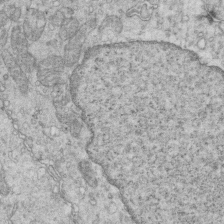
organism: Mouse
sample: Multiciliated cells